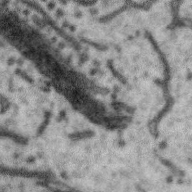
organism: Zebra finch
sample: Brain